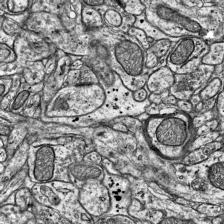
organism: Mouse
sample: Visual Cortex